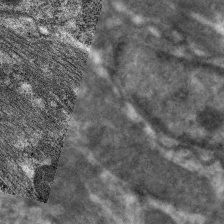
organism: C. elegans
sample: Pharynx